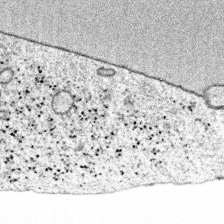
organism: Human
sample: HeLa cells